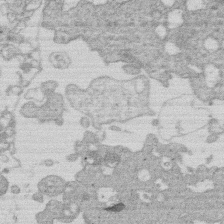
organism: Human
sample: Macrophage cells